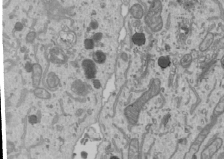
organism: Human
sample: Mitochondria in U2OS cells